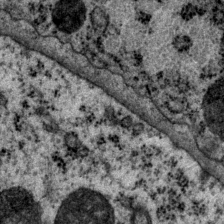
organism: P. pacificus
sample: Pharynx